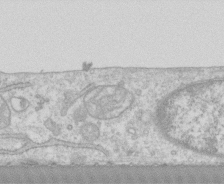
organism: Human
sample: CRL-1474